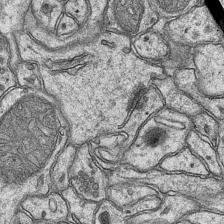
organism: Mouse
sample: CA1 Hippocampus